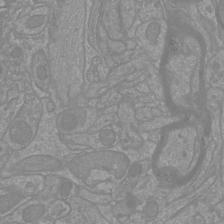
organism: Mouse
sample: Cortical neurons